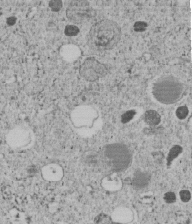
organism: C. elegans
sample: C. elegans embryo early stage